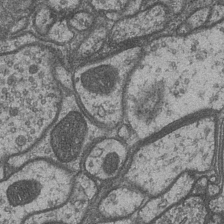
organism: Drosophila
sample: Optic medulla